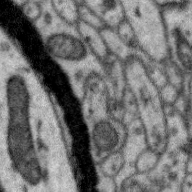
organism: Zebra finch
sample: Brain